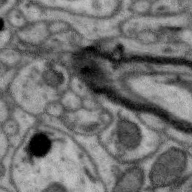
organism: Zebra finch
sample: Brain